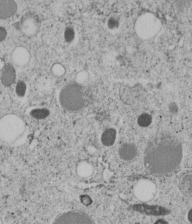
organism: C. elegans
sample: C. elegans embryo early stage